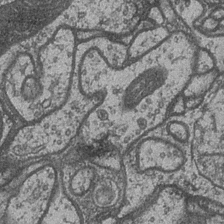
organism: Drosophila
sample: Optic medulla